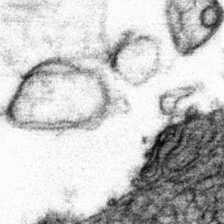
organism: Mouse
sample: Mouse hepatocytes